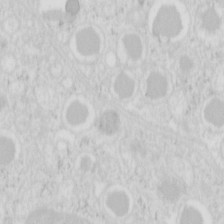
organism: Mouse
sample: Pancreas